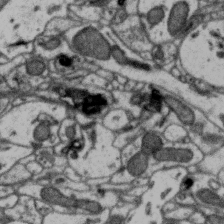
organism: Zebra finch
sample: Brain